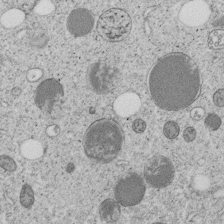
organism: C. elegans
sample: C. elegans embryo early stage